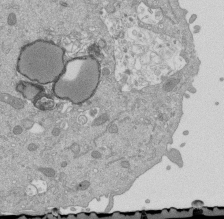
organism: Mouse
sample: ED-1 cell nuclei; centrioles